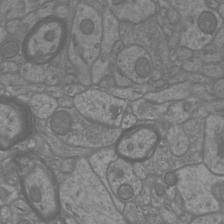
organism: Mouse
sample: Cortical neurons